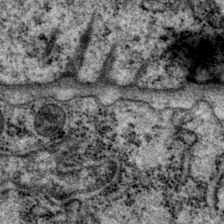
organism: P. pacificus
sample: Pharynx